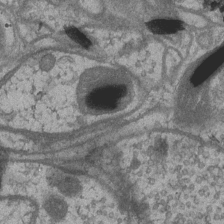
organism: Drosophila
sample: Optic medulla